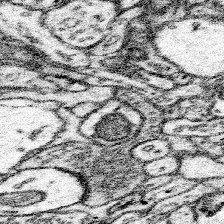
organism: Mouse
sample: Somatosensory cortex neuropil